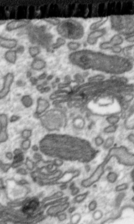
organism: Toxoplasma gondii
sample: Parasites in a vacuole inside a host cell